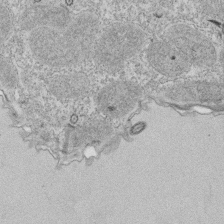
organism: Tetrahymena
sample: Cilia in tetrahymena